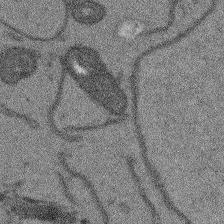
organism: Arabidopsis thaliana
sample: Root tip